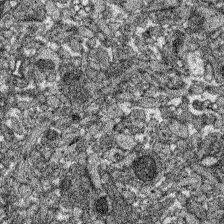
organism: Zebrafish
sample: Larval olfactory bulb